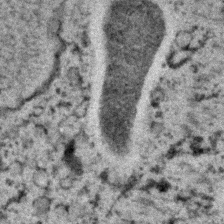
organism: C. elegans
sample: C. elegans embryo